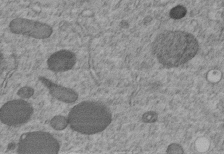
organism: C. elegans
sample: C. elegans embryo early stage